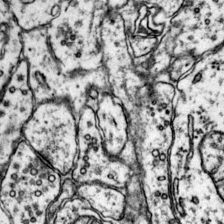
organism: Mouse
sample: Primary visual cortex